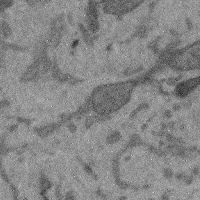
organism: Mouse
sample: Cerebral cortex